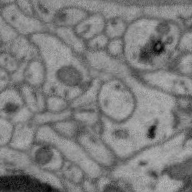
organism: Zebra finch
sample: Brain